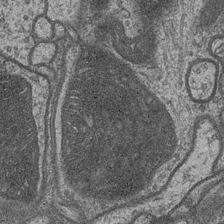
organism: Drosophila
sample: Optic medulla